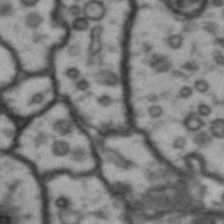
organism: Drosophila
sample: Brain